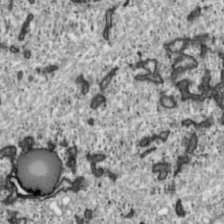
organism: Toxoplasma gondii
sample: Parasites in a vacuole inside a host cell